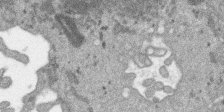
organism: Human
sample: Lung epithelial cells infected with SARS-CoV-2